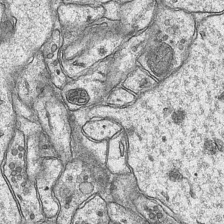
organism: Mouse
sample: CA1 Hippocampus